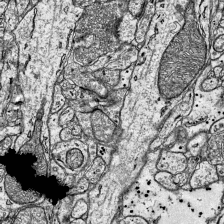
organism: Mouse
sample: Visual Cortex